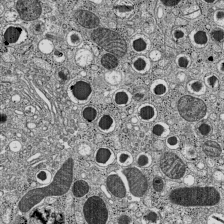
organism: C57BL Mouse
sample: Pancreatic islet